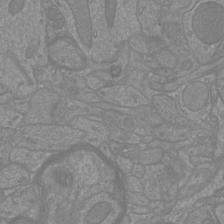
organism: Mouse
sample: Cortical neurons